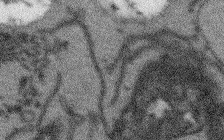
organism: Arabidopsis thaliana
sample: Root tip